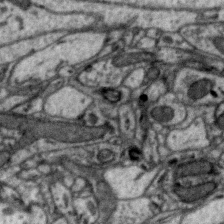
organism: Zebra finch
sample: Brain